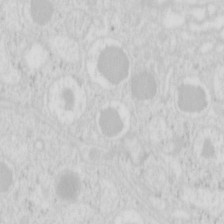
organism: Mouse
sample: Pancreas